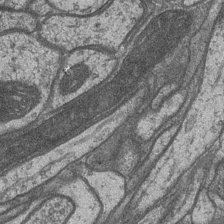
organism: Drosophila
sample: Optic medulla